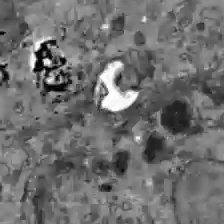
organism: C57BL Mouse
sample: Liver